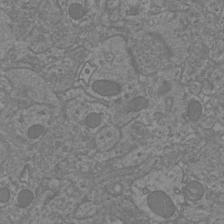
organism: Mouse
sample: Cortical neurons